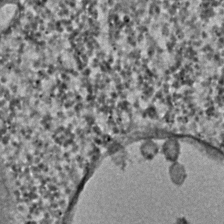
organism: C. elegans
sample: C. elegans embryo